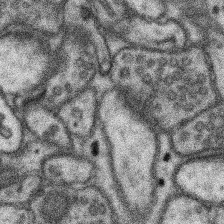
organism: Mouse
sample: Somatosensory cortex neuropil